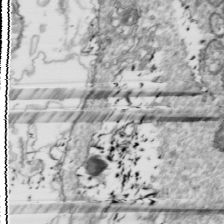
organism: Drosophila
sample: Cell division; meiosis; drosophila spermatocytes